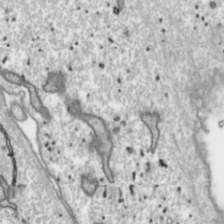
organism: Toxoplasma gondii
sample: Parasites in a vacuole inside a host cell